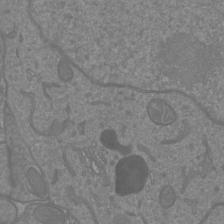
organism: Mouse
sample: Cortical neurons